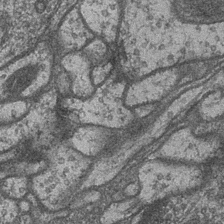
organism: Drosophila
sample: Optic medulla